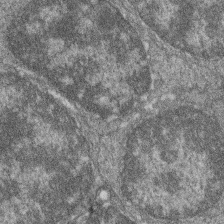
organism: Zebrafish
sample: Cilia; retinal pigment epithelium